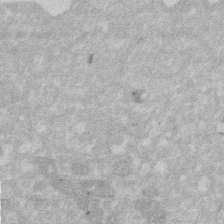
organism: Human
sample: HIV infected U937 cells